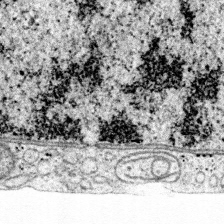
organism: Human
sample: HeLa cells